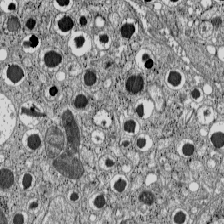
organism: C57BL Mouse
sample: Pancreatic islet